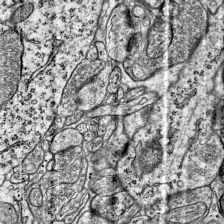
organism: Mouse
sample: Visual Cortex